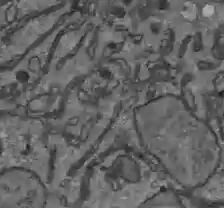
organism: C57BL Mouse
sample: Liver